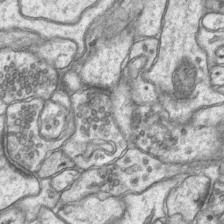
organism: Mouse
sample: CA1 Hippocampus